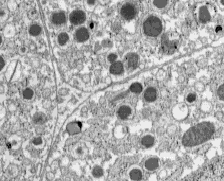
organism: C57BL Mouse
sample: Pancreatic islet